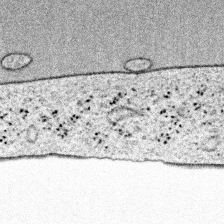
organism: Human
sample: HeLa cells